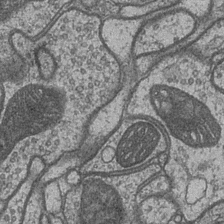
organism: Drosophila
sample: Optic medulla